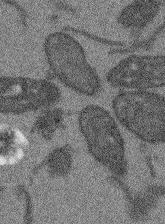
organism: Arabidopsis thaliana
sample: Root tip